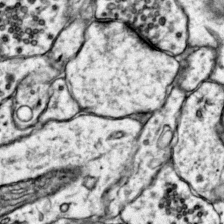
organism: Mouse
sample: Primary visual cortex